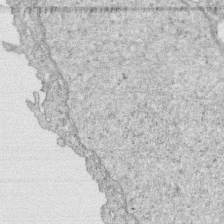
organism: Human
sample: HeLa cell HIV synapse